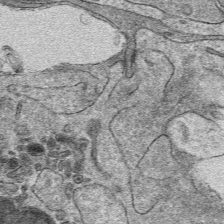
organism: Mouse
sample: Mouse hepatocytes